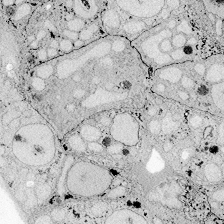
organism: Zebrafish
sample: Whole-Brain